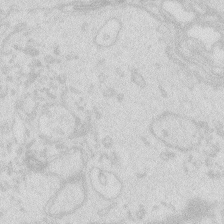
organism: Zebrafish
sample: Macrophage